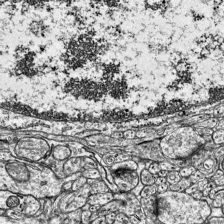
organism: Mouse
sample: Visual Cortex